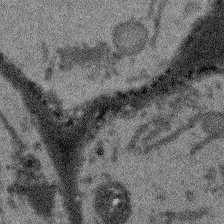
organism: Arabidopsis thaliana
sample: Root tip